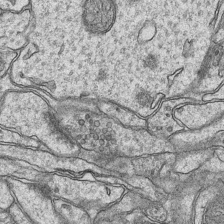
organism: Mouse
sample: CA1 Hippocampus